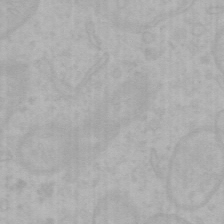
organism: Mouse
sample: Choroid plexus